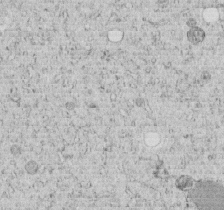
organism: C. elegans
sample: C. elegans embryo early stage